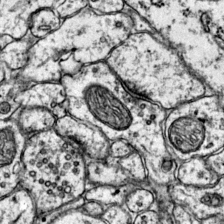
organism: Mouse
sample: Primary visual cortex